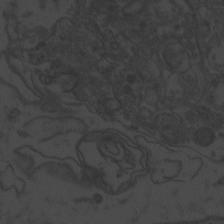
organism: Zebrafish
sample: Macrophage infected with Toxoplasma gondii